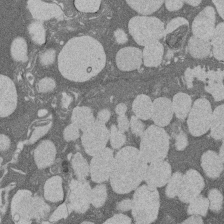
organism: Rat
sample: Salivary granule